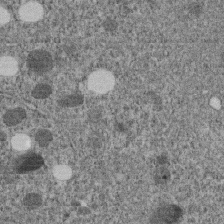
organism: C. elegans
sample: C. elegans embryo early stage